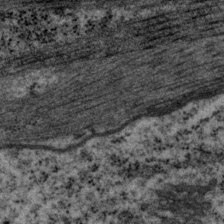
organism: P. pacificus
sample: Pharynx